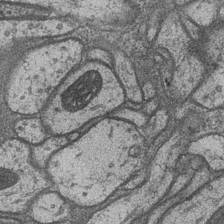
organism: Drosophila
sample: Optic medulla